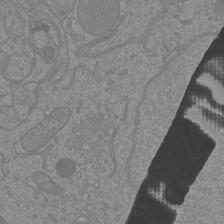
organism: Mouse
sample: Cortical neurons